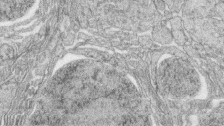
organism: Zebrafish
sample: synaptic ribbons in rod cells and cone cells